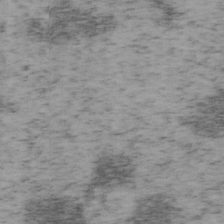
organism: Mouse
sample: OT-I killer T cells with ID8 ovarian cancer cells